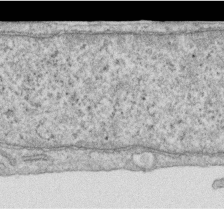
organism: Human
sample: Centriole in RPE cells